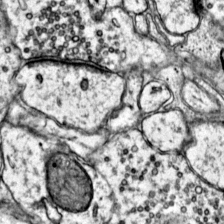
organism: Mouse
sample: Primary visual cortex